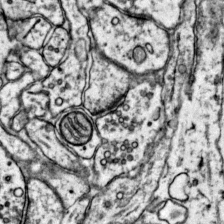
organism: Mouse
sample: Primary visual cortex